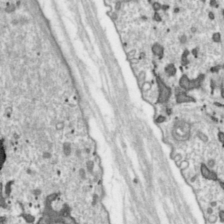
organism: Toxoplasma gondii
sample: Parasites in a vacuole inside a host cell